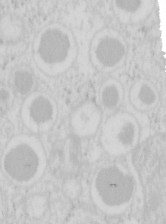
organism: Mouse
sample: Pancreas